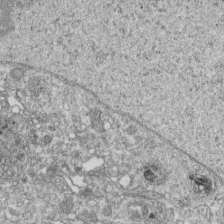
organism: Human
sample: HeLa cell HIV synapse